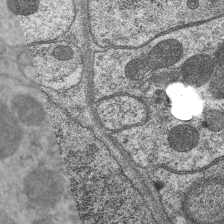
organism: C. elegans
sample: Pharynx